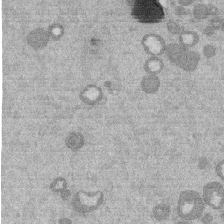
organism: Mouse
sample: Dividing mouse embryo 1 cell stage